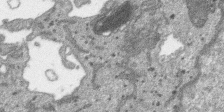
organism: Human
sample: Lung epithelial cells infected with SARS-CoV-2